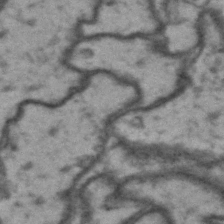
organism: Drosophila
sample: Brain